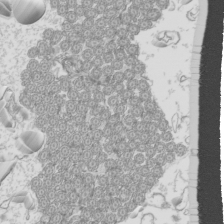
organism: Mouse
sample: Cilia; mouse epididymis